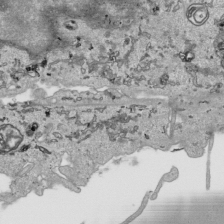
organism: Human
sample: Mitochondria in HCT116 cells